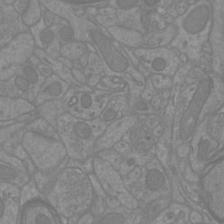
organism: Mouse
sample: Cortical neurons